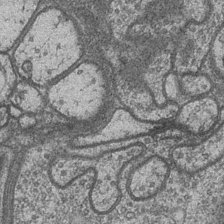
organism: Drosophila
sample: Optic medulla